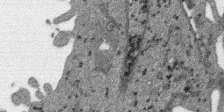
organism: Human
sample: Lung epithelial cells infected with SARS-CoV-2